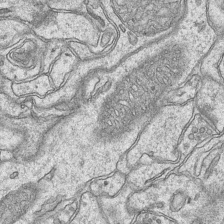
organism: Mouse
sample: CA1 Hippocampus